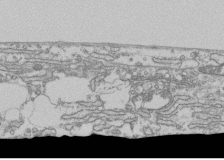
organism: Human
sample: Fibroblast cells